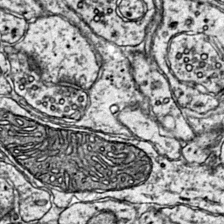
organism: Mouse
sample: Primary visual cortex